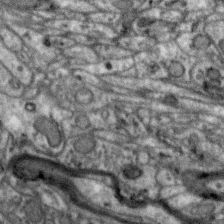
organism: Zebra finch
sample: Brain